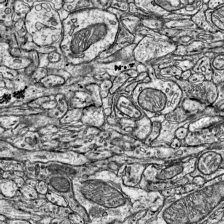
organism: Mouse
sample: Visual Cortex